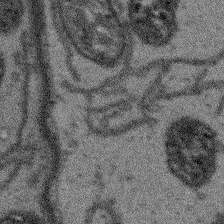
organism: Arabidopsis thaliana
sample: Root tip